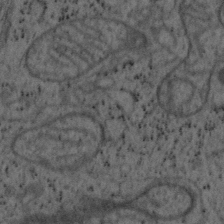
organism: Human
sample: HeLa cells